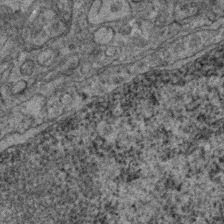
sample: Trachea